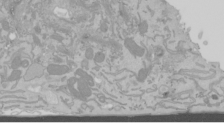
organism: Mouse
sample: Cancer cell death in ED-1 cells